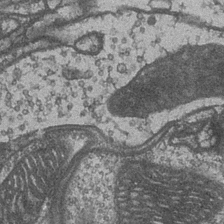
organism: Drosophila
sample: Optic medulla